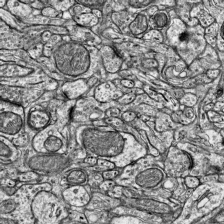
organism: Mouse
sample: Visual Cortex